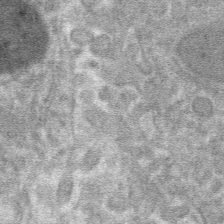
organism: Mouse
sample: Mouse hepatocytes